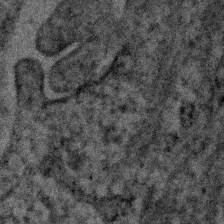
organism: Human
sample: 1205lu cells